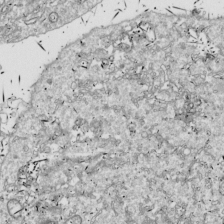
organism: Drosophila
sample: Cell division; meiosis; drosophila spermatocytes